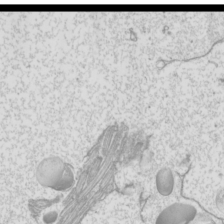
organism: Mouse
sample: Cilia; mouse epididymis